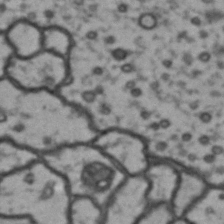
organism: Drosophila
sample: Brain